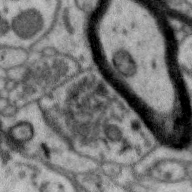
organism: Zebra finch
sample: Brain